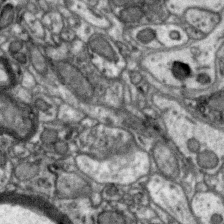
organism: Zebra finch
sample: Brain